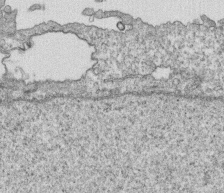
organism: Human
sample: HeLa cell HIV synapse